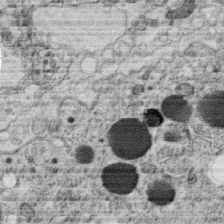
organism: C. elegans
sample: C. elegans oocyte; sperm cells